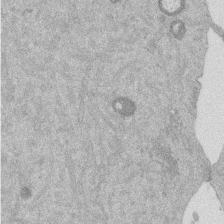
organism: Mouse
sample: Dividing mouse embryo 1 cell stage